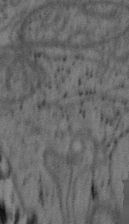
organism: Human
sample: HeLa cells